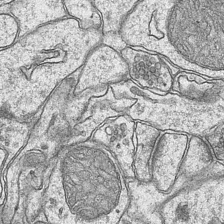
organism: Mouse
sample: CA1 Hippocampus